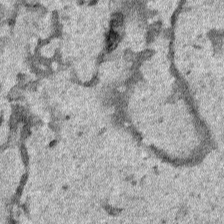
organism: Human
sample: Mitochondria in HCT116 cells